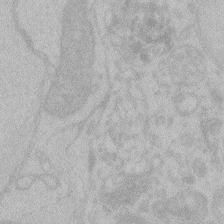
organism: Zebrafish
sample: Macrophage infected with Toxoplasma gondii